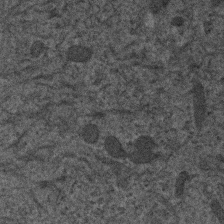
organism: Human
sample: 1205lu cells